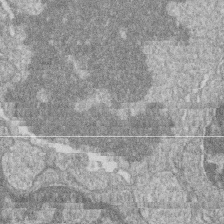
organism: Zebrafish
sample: Cilia; retinal pigment epithelium